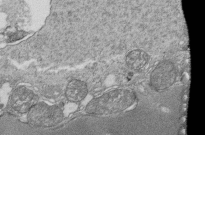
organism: Tetrahymena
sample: Cilia in tetrahymena